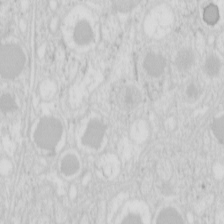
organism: Mouse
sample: Pancreas